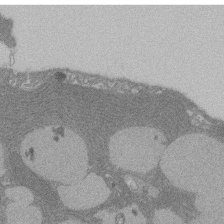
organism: Rat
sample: Salivary granule